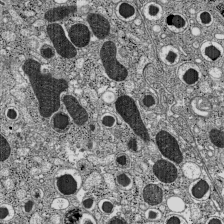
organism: C57BL Mouse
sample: Pancreatic islet